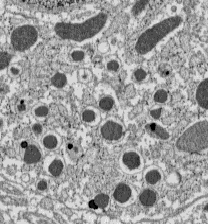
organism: C57BL Mouse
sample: Pancreatic islet